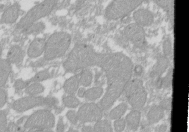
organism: Xenopus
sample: Cilia; centrioles in frog embryo cells